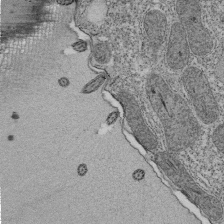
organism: Tetrahymena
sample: Cilia in tetrahymena